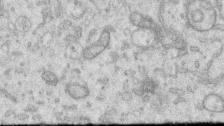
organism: Human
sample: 1205lu cells